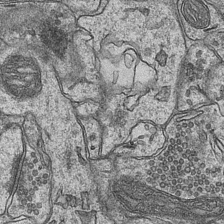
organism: Mouse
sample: CA1 Hippocampus